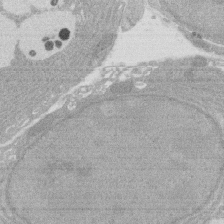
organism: Rat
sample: Salivary granule